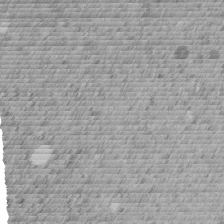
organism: C. elegans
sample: C. elegans embryo early stage